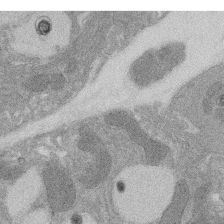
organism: Rat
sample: Salivary granule